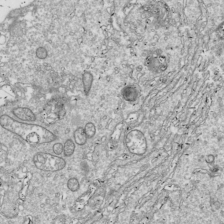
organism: Drosophila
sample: Cell division; meiosis; drosophila spermatocytes